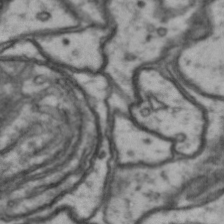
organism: Drosophila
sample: Brain